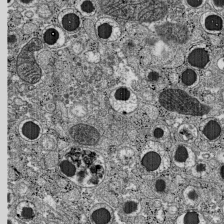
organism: C57BL Mouse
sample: Pancreatic islet